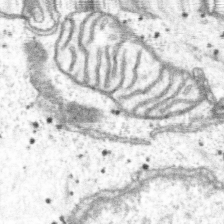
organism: Human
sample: HeLa cells